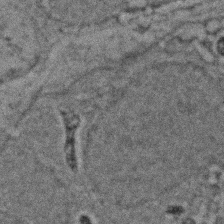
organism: Zebrafish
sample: Zebrafish embryo